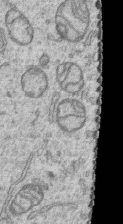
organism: Human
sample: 1205lu cells